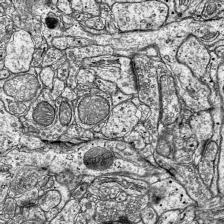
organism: Mouse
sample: Visual Cortex